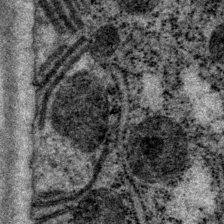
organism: P. pacificus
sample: Pharynx